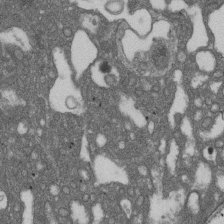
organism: Drosophila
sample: Nephrocyte